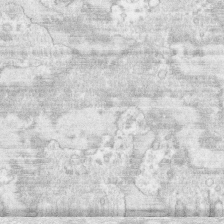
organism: Human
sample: CRL-1474